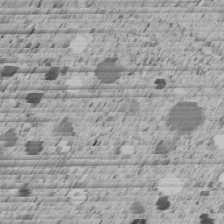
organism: C. elegans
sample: C. elegans embryo early stage